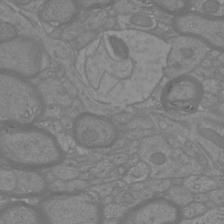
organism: Mouse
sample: Cortical neurons